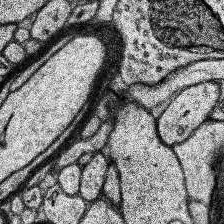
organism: Human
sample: Temporal Lobe